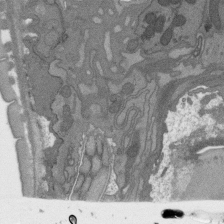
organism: C. elegans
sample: AFD neurons C. elegans